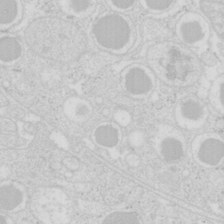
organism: Mouse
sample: Pancreas